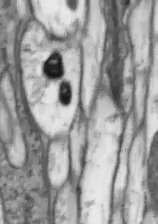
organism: Drosophila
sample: Optic lobe